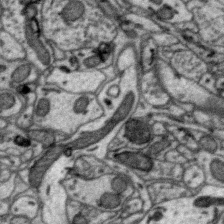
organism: Zebra finch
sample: Brain